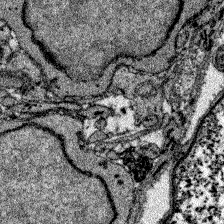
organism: Zebrafish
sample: Larval olfactory bulb